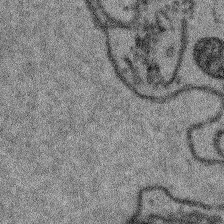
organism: Arabidopsis thaliana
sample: Root tip